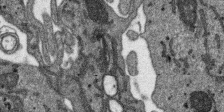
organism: Human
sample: Lung epithelial cells infected with SARS-CoV-2